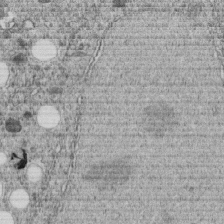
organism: C. elegans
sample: C. elegans embryo early stage